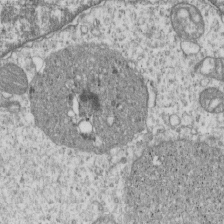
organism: Human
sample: MDA-MB-231 cells